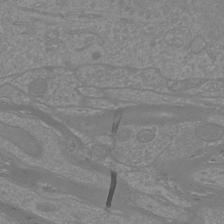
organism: Mouse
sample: Cortical neurons